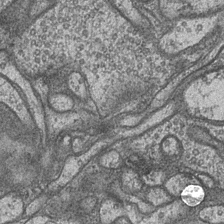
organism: Drosophila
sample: Optic medulla